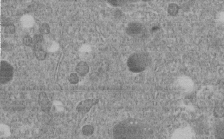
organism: C. elegans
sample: C. elegans embryo early stage